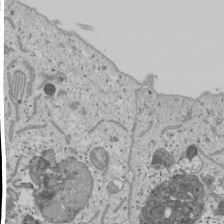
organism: Human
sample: Mitochondria in U2OS cells